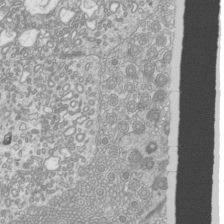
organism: Mouse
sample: Cilia; mouse epididymis